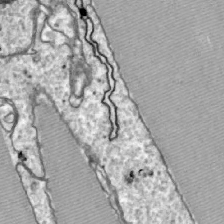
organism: Zebrafish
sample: Actinotrichia fibers